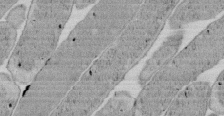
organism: E. coli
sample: Bacterial nucleoid